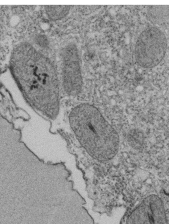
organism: Tetrahymena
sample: Cilia in tetrahymena